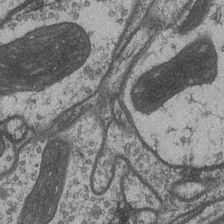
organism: Drosophila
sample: Optic medulla